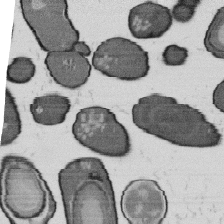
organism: B. subtilis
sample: Bacterial spore